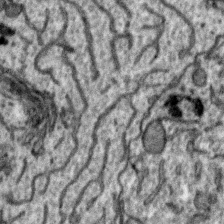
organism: Zebra finch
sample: Brain